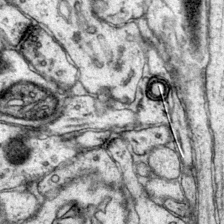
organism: Mouse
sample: Primary visual cortex